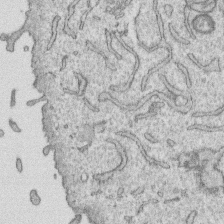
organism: Human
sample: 1205lu cells